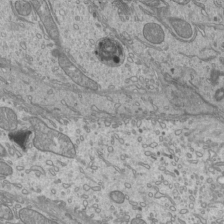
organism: Mouse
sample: Cilia; mouse epididymis